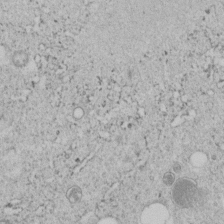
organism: C. elegans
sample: C. elegans embryo early stage